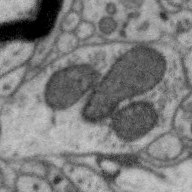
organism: Zebra finch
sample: Brain